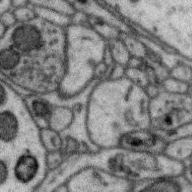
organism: Zebra finch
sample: Brain